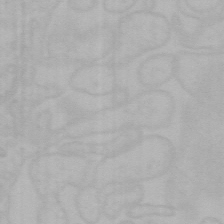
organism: Mouse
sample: Choroid plexus